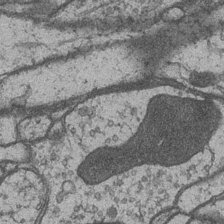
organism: Drosophila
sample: Optic medulla